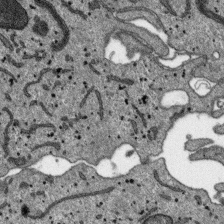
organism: Human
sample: Lung epithelial cells, uninfected (mock) control